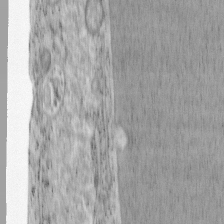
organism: Human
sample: HeLa cells